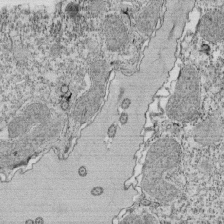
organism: Tetrahymena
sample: Cilia in tetrahymena